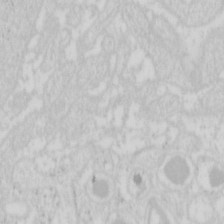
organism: Mouse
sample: Pancreas